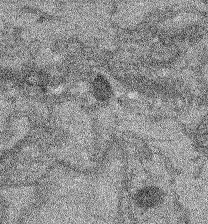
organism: Human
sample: HeLa cells